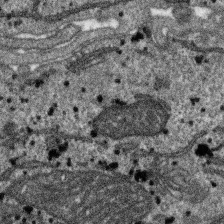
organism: Human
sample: Lung epithelial cells infected with SARS-CoV-2